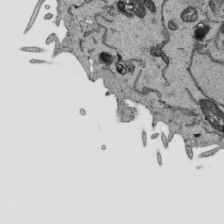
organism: Human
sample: Mitochondria in HCT116 cells